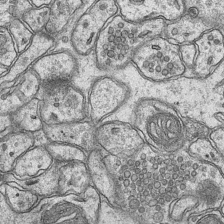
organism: Mouse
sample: CA1 Hippocampus